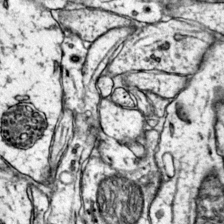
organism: Mouse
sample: Primary visual cortex